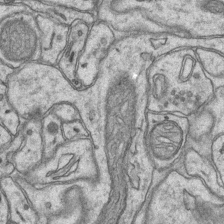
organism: Mouse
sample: CA1 Hippocampus